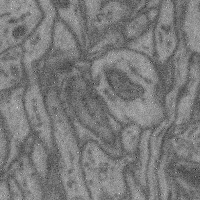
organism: Mouse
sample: Cerebral cortex